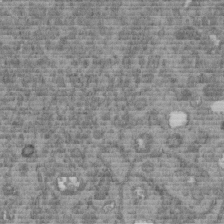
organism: C. elegans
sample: C. elegans embryo early stage